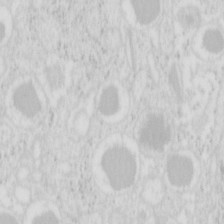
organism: Mouse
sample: Pancreas